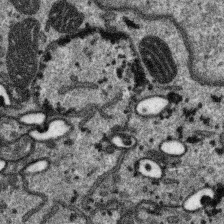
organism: Human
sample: Lung epithelial cells infected with SARS-CoV-2